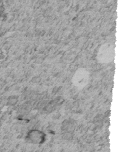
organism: C. elegans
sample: C. elegans embryo early stage